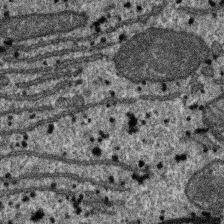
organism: Human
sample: Lung epithelial cells infected with SARS-CoV-2